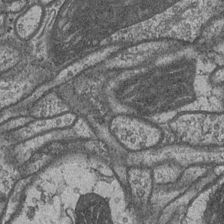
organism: Drosophila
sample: Optic medulla